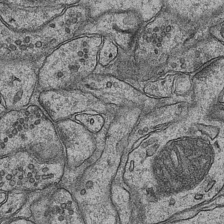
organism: Mouse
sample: CA1 Hippocampus